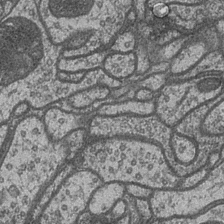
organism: Drosophila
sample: Optic medulla